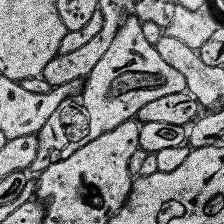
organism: Human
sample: Temporal Lobe